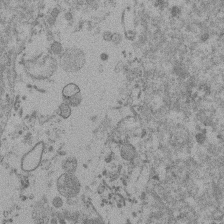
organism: Mouse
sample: Dividing mouse embryo 1 cell stage